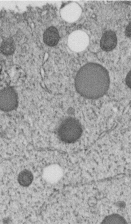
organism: C. elegans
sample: C. elegans embryo early stage